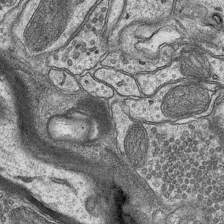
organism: Mouse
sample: CA1 Hippocampus